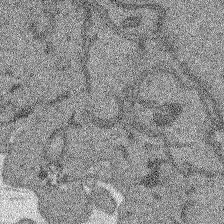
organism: Human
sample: HeLa cells